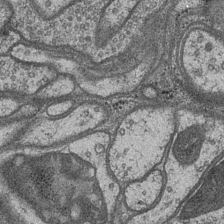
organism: Drosophila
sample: Optic medulla